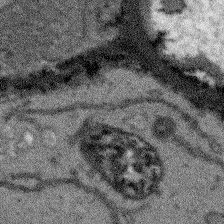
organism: Arabidopsis thaliana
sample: Root tip